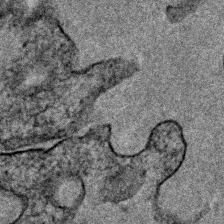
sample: Trachea